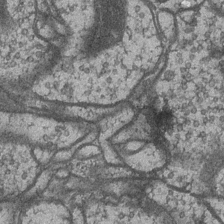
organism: Drosophila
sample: Optic medulla